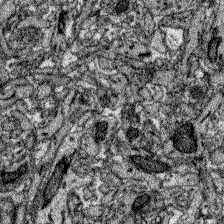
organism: Zebrafish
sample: Larval olfactory bulb